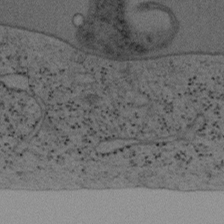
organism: Human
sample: HeLa cells